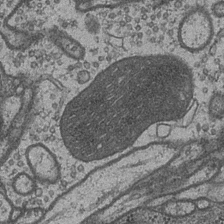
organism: Drosophila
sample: Optic medulla